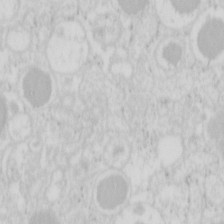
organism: Mouse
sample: Pancreas